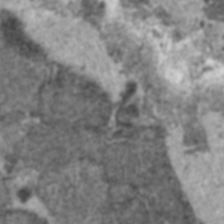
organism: C57BL Mouse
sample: Heart